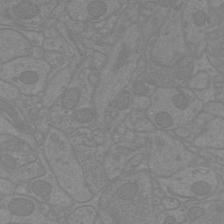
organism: Mouse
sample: Cortical neurons